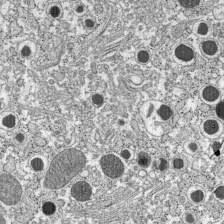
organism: C57BL Mouse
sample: Pancreatic islet